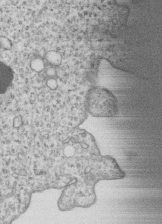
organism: Human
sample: MDA-MB-231 cells